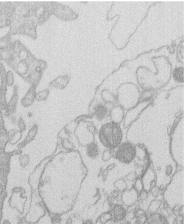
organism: Human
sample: Macrophage cells